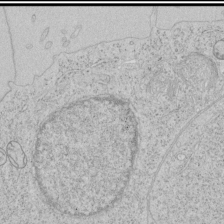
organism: Human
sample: Mitochondria in HCT116 cells